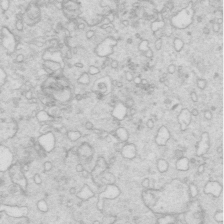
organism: Mouse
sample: Multiciliated cells